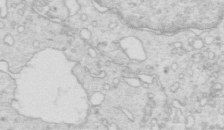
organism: Mouse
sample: Multiciliated cells